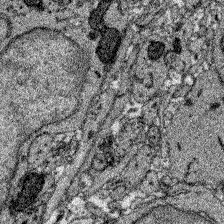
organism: Zebrafish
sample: Larval olfactory bulb